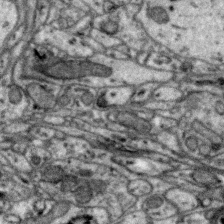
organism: Zebra finch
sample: Brain